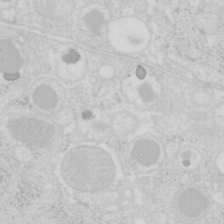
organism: Mouse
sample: Pancreas